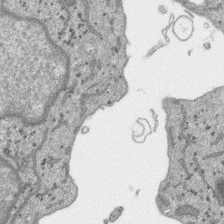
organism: Human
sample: Lung epithelial cells infected with SARS-CoV-2